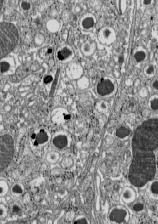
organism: C57BL Mouse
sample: Pancreatic islet